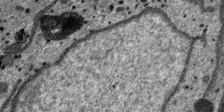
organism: Human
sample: Lung epithelial cells, uninfected (mock) control